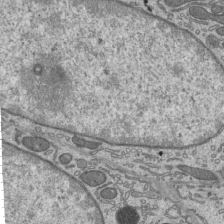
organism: Mouse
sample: Mouse epididymis efferent ductule cilia